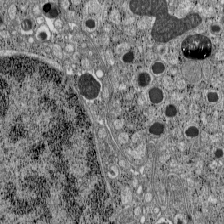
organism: C57BL Mouse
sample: Pancreatic islet